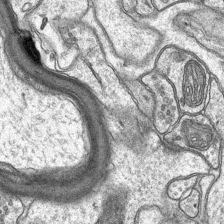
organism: Mouse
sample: CA1 Hippocampus